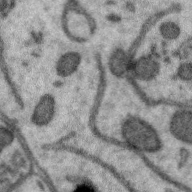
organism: Zebra finch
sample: Brain